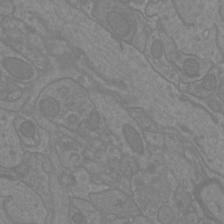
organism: Mouse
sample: Cortical neurons